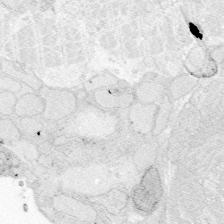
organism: Zebrafish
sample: Whole-Brain